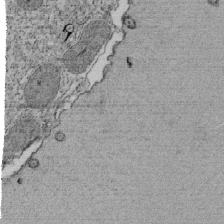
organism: Tetrahymena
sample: Cilia in tetrahymena